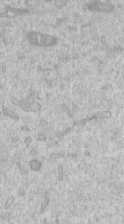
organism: Human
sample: Centriole in RPE cells